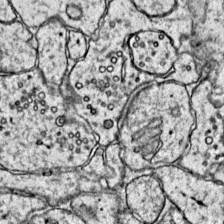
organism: Mouse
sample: Primary visual cortex